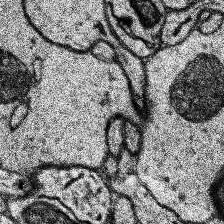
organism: Human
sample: Temporal Lobe